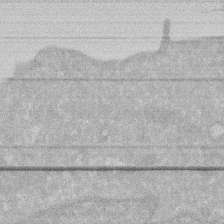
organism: Human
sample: HIV infected U937 cells